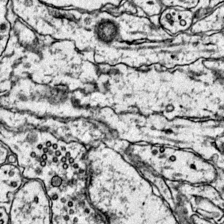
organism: Mouse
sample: Primary visual cortex